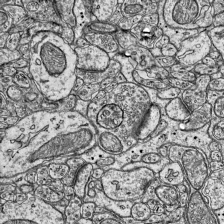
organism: Mouse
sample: Visual Cortex